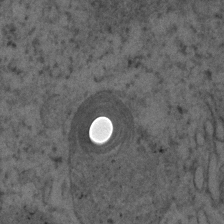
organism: Human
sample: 1205lu cells